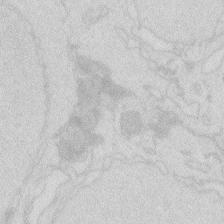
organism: Zebrafish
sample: Macrophage